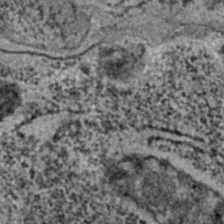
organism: C. elegans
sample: C. elegans embryo